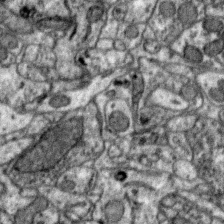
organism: Zebra finch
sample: Brain